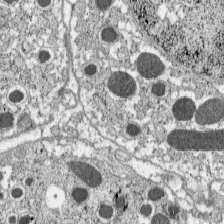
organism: C57BL Mouse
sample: Pancreatic islet